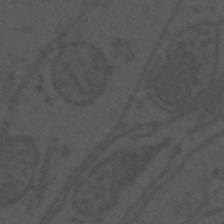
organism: Mouse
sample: Suprachiasmatic nucleus